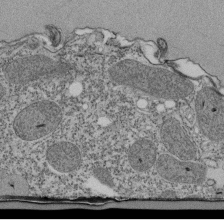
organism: Tetrahymena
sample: Cilia in tetrahymena